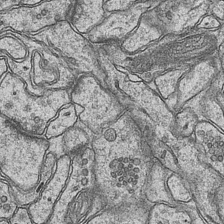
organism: Mouse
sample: CA1 Hippocampus